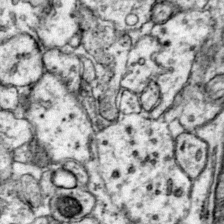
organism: Mouse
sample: Primary visual cortex